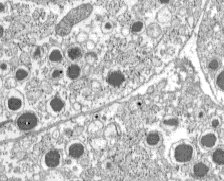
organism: C57BL Mouse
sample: Pancreatic islet